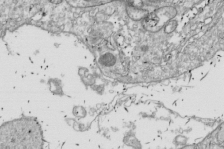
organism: Drosophila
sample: Cell division; meiosis; drosophila spermatocytes